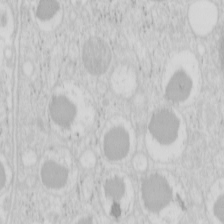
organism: Mouse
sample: Pancreas